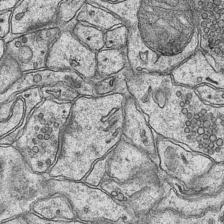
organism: Mouse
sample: CA1 Hippocampus